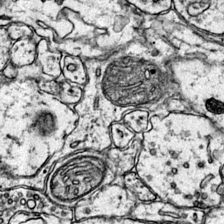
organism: Mouse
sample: Primary visual cortex